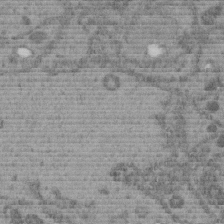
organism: C. elegans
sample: C. elegans embryo early stage